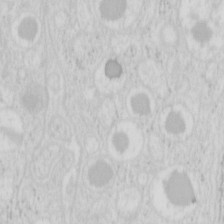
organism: Mouse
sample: Pancreas